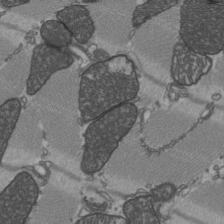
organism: C57BL Mouse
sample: Heart